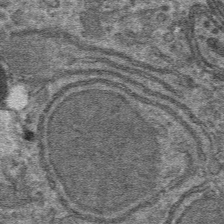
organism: Mouse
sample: Mouse hepatocytes